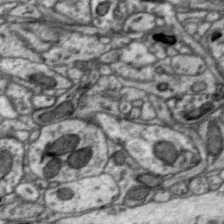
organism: Zebra finch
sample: Brain